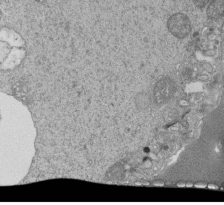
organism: Tetrahymena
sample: Cilia in tetrahymena